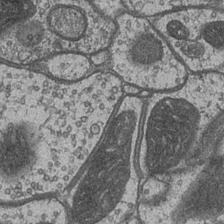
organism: Drosophila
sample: Optic medulla